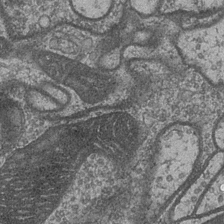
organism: Drosophila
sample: Optic medulla